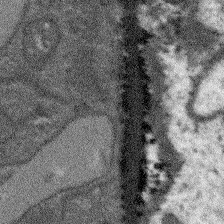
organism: Arabidopsis thaliana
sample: Root tip